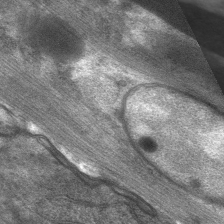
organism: C. elegans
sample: Pharynx